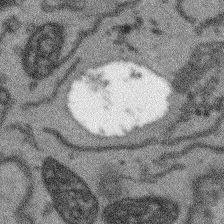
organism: Arabidopsis thaliana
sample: Root tip